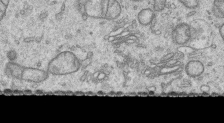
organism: Human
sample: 1205lu cells